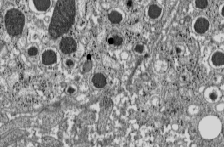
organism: C57BL Mouse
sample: Pancreatic islet